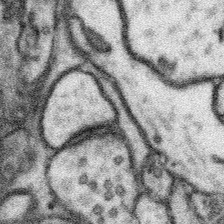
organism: Mouse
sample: Somatosensory cortex neuropil